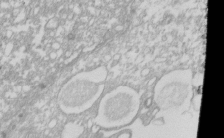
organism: Xenopus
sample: Cilia; centrioles in frog embryo cells